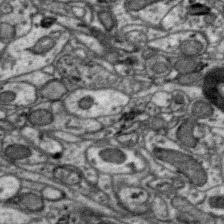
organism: Zebra finch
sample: Brain